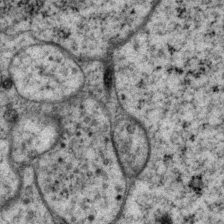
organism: P. pacificus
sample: Pharynx